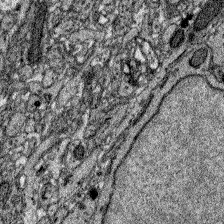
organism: Zebrafish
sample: Larval olfactory bulb